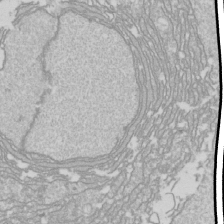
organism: Drosophila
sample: Cell division; meiosis; drosophila spermatocytes